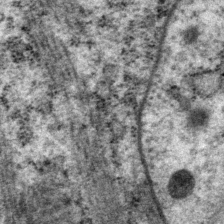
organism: P. pacificus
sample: Pharynx